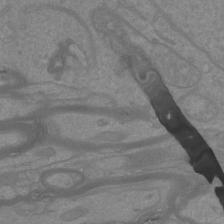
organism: Mouse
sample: Cortical neurons